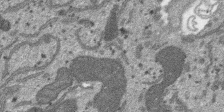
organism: Human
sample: Lung epithelial cells infected with SARS-CoV-2